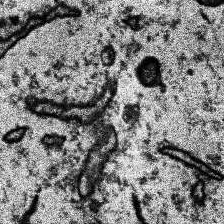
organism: Human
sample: Temporal Lobe